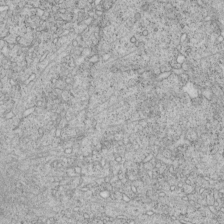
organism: C. elegans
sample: C. elegans embryo early stage